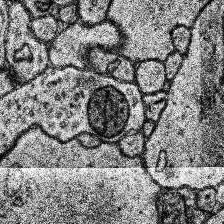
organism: Human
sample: Temporal Lobe